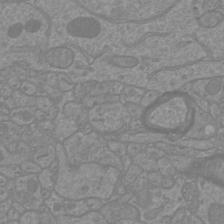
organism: Mouse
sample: Cortical neurons